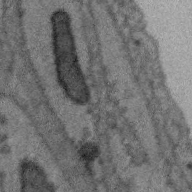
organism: Zebra finch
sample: Brain